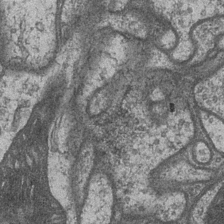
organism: Drosophila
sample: Optic medulla